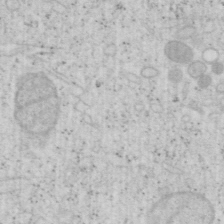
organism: Human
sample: HeLa cells